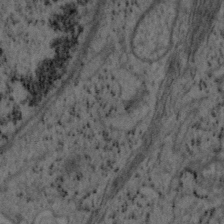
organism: Human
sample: HeLa cells